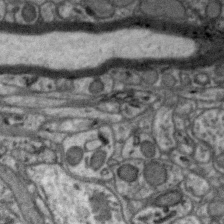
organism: Zebra finch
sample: Brain